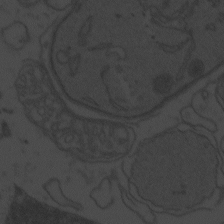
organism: Zebrafish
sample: Macrophage infected with Toxoplasma gondii